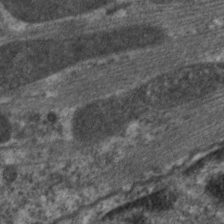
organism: C. elegans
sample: Pharynx